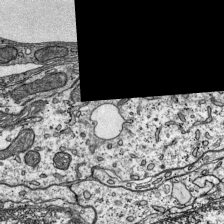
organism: Mouse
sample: Visual Cortex